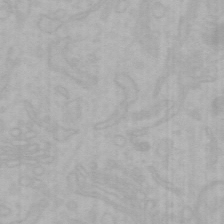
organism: Mouse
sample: Choroid plexus